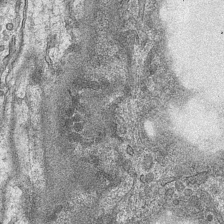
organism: Mouse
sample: CA1 Hippocampus